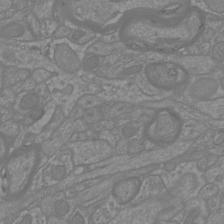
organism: Mouse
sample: Cortical neurons